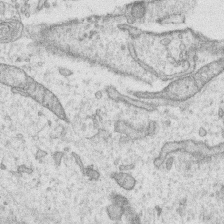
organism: Human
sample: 1205lu cells